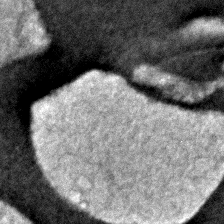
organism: Zebrafish